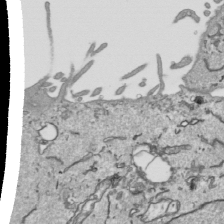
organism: Human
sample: Mitochondria in HCT116 cells